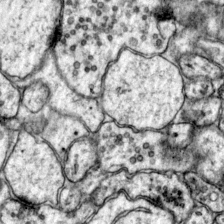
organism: Mouse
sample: Primary visual cortex